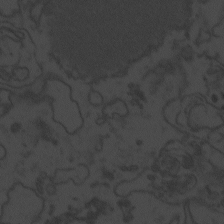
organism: Zebrafish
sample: Macrophage infected with Toxoplasma gondii